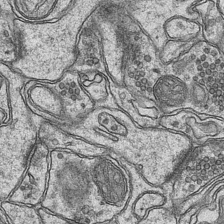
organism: Mouse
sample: CA1 Hippocampus